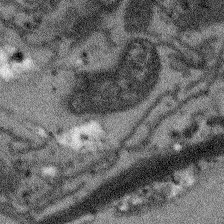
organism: Arabidopsis thaliana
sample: Root tip